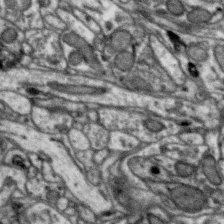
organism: Zebra finch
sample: Brain